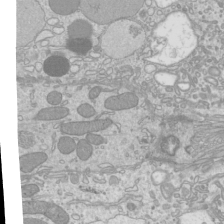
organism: Mouse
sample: Cilia; mouse epididymis